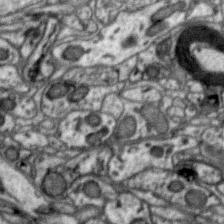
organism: Zebra finch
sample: Brain